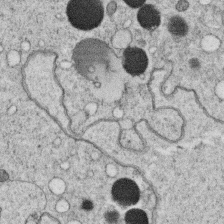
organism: C. elegans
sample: C. elegans oocyte; sperm cells